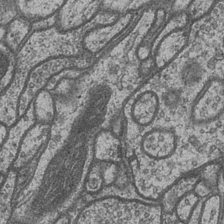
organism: Drosophila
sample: Optic medulla